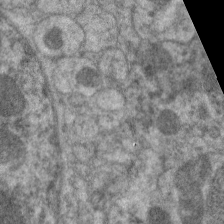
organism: C. elegans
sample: Pharynx